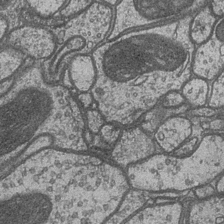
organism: Drosophila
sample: Optic medulla